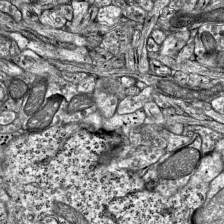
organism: Mouse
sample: Visual Cortex